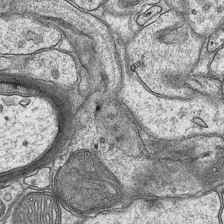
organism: Mouse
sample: CA1 Hippocampus